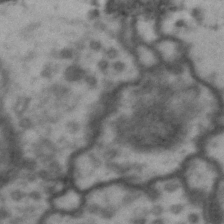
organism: Drosophila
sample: Brain